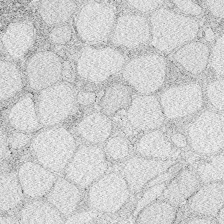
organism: Zebrafish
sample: Whole-Brain